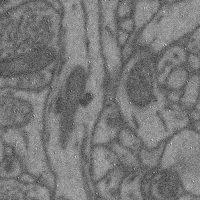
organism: Mouse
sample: Cerebral cortex